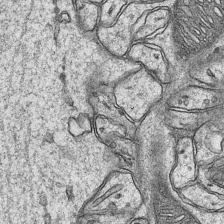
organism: Mouse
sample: CA1 Hippocampus